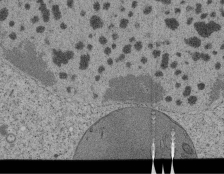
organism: Tetrahymena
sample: Cilia in tetrahymena